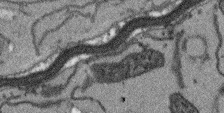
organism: Arabidopsis thaliana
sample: Root tip